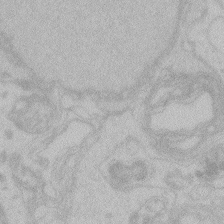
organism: Zebrafish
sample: Macrophage infected with Toxoplasma gondii